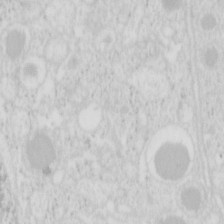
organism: Mouse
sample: Pancreas